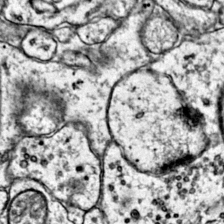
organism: Mouse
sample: Primary visual cortex